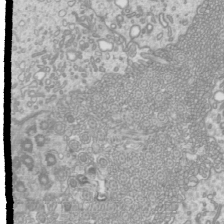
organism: Mouse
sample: Cilia; mouse epididymis